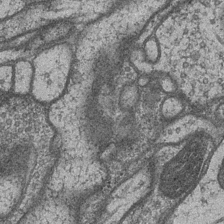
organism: Drosophila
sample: Optic medulla